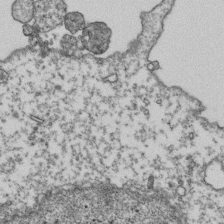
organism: Human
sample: Activated Jurkat CD4+ T cells